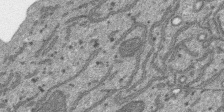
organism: Human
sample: Lung epithelial cells infected with SARS-CoV-2